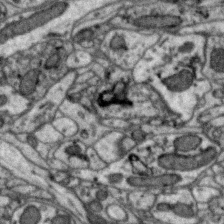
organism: Zebra finch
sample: Brain